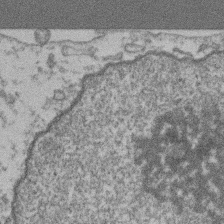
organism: Mouse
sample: T cell stromal cell synapse